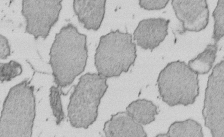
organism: E. coli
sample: Bacterial nucleoid